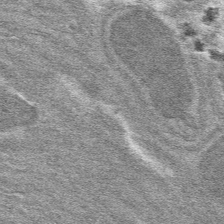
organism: Mouse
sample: Mouse hepatocytes